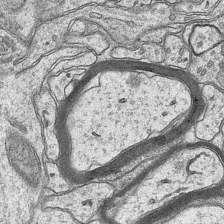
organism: Mouse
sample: CA1 Hippocampus